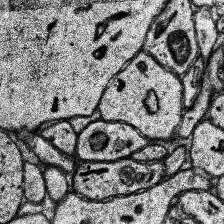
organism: Human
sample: Temporal Lobe